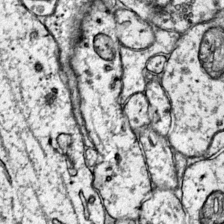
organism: Mouse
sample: Primary visual cortex